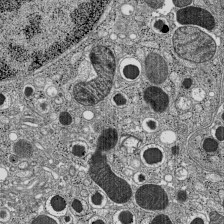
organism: C57BL Mouse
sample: Pancreatic islet